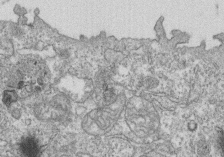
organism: Human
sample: HeLa cell HIV synapse